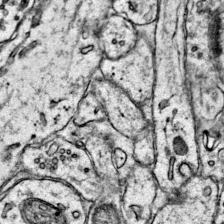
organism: Mouse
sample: Primary visual cortex